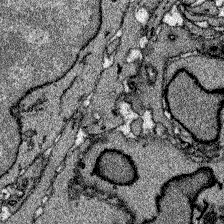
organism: Zebrafish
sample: Larval olfactory bulb